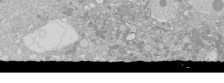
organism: Human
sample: Caco-2 cells